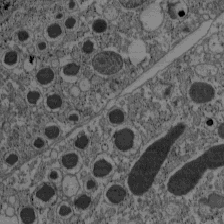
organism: C57BL Mouse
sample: Pancreatic islet